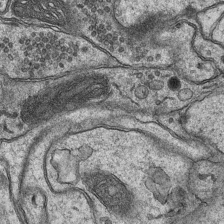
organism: Mouse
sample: CA1 Hippocampus